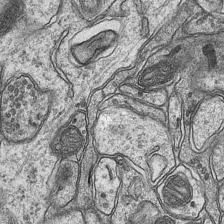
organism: Mouse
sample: CA1 Hippocampus